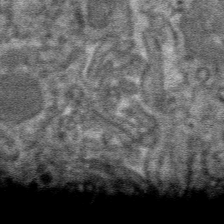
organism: Mouse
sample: Mouse hepatocytes